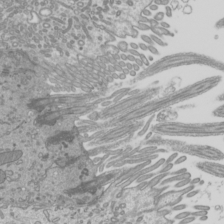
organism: Mouse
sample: Cilia; mouse epididymis